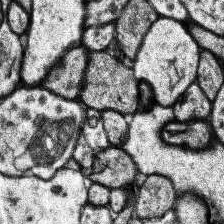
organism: Human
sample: Temporal Lobe